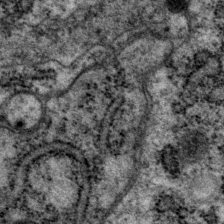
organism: P. pacificus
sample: Pharynx